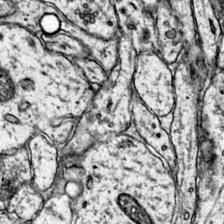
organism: Mouse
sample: Primary visual cortex